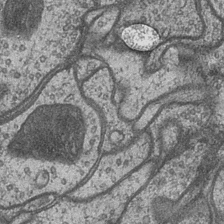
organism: Drosophila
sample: Optic medulla